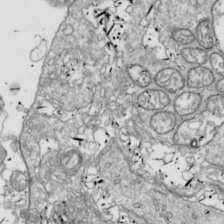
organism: Drosophila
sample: Cell division; meiosis; drosophila spermatocytes